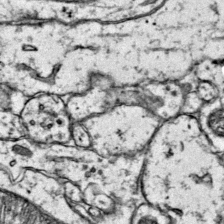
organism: Mouse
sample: Primary visual cortex